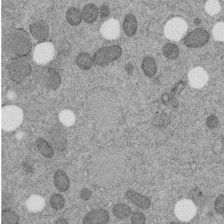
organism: C. elegans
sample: C. elegans embryo early stage